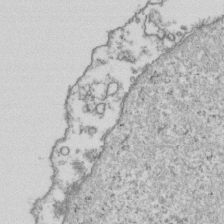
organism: Human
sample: Activated Jurkat CD4+ T cells